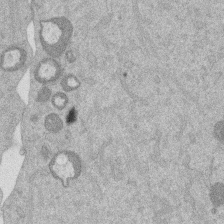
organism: Mouse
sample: Dividing mouse embryo 1 cell stage